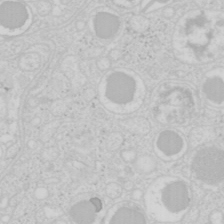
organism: Mouse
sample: Pancreas